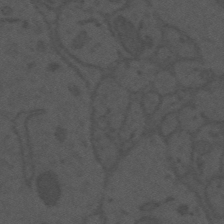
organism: Mouse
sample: Suprachiasmatic nucleus